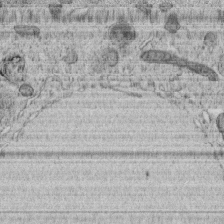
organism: C. elegans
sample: C. elegans embryo early stage